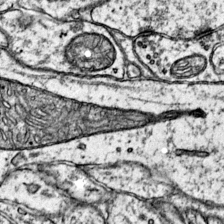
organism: Mouse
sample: Primary visual cortex